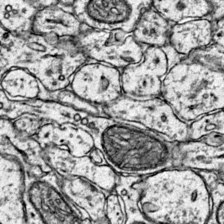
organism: Mouse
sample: Primary visual cortex